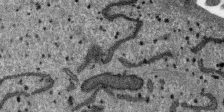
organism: Human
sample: Lung epithelial cells, uninfected (mock) control